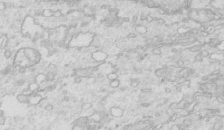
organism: Mouse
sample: Multiciliated cells